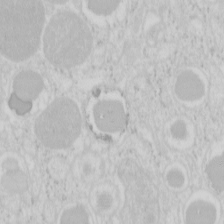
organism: Mouse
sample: Pancreas